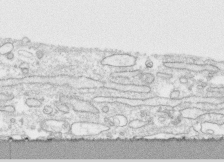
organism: Human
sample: CRL-1474